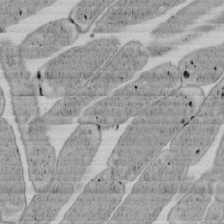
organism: E. coli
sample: Bacterial nucleoid